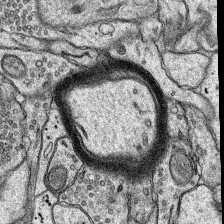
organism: Rat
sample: Hippocampus